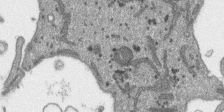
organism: Human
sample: Lung epithelial cells infected with SARS-CoV-2